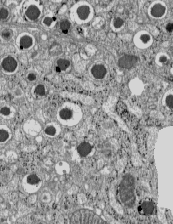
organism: C57BL Mouse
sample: Pancreatic islet